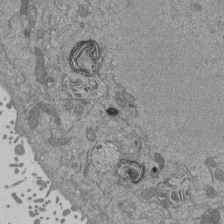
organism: Mouse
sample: ED-1 cell nuclei; centrioles